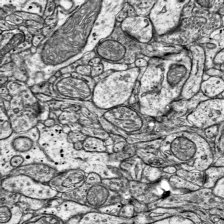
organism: Mouse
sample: Visual Cortex